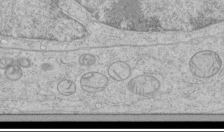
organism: Human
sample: Mitochondria in HCT116 cells